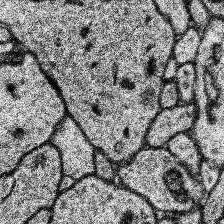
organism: Human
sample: Temporal Lobe